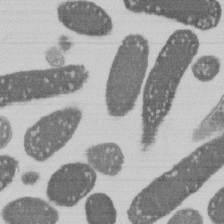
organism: E. coli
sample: Bacterial nucleoid